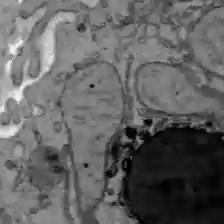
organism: C57BL Mouse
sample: Liver